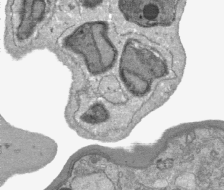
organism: Plasmodium falciparum